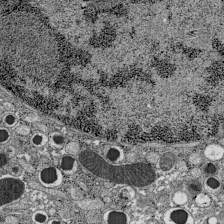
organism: C57BL Mouse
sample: Pancreatic islet